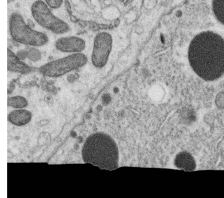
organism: C. elegans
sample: C. elegans oocyte; sperm cells